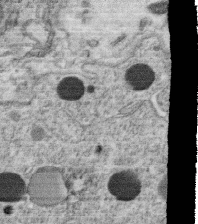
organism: C. elegans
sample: C. elegans oocyte; sperm cells